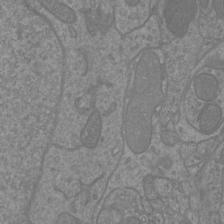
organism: Mouse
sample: Cortical neurons